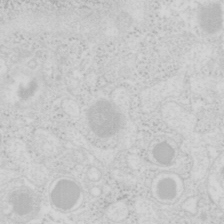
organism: Mouse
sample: Pancreas